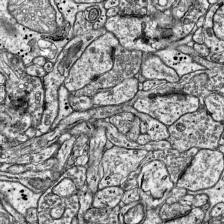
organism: Mouse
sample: Visual Cortex